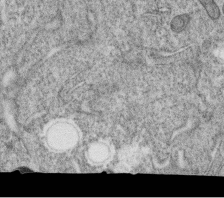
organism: C. elegans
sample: C. elegans oocyte; sperm cells